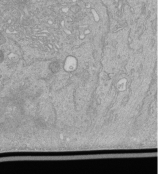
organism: Human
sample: Retinal organoid Rod and Cone cells